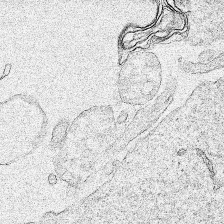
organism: Human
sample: Mitochondria in HCT116 cells